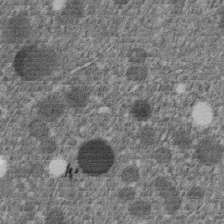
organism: C. elegans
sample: C. elegans embryo early stage